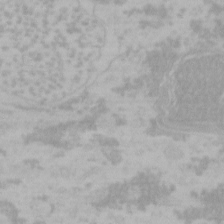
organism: Mouse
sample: Choroid plexus